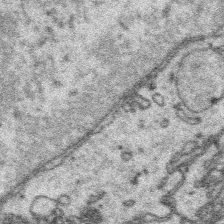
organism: Platynereis dumerilii